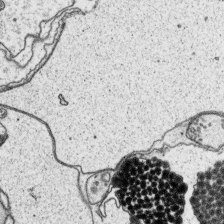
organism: Platynereis dumerilii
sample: Parapodia